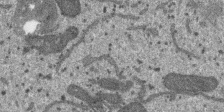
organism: Human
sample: Lung epithelial cells infected with SARS-CoV-2